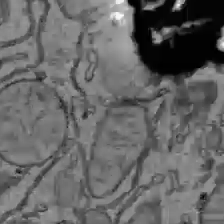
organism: C57BL Mouse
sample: Liver